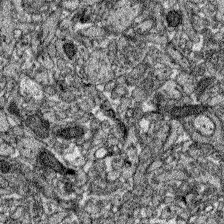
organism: Zebrafish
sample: Larval olfactory bulb